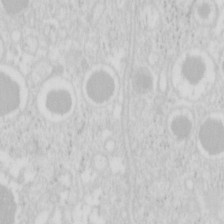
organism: Mouse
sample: Pancreas